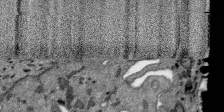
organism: Human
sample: Lung epithelial cells, uninfected (mock) control